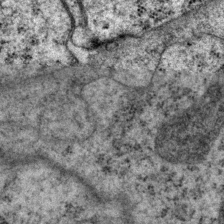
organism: P. pacificus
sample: Pharynx